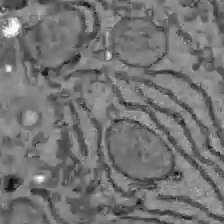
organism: C57BL Mouse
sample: Liver